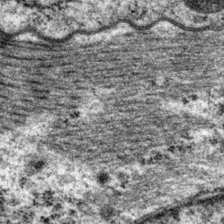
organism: P. pacificus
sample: Pharynx